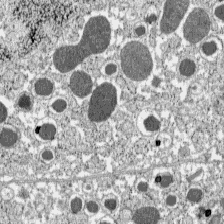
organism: C57BL Mouse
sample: Pancreatic islet